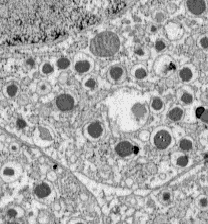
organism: C57BL Mouse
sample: Pancreatic islet